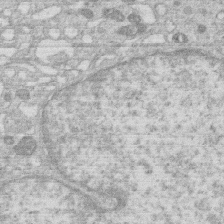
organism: Human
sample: Macrophage cells